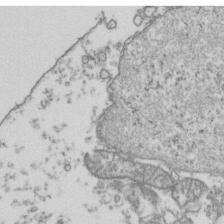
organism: Human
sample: Activated Jurkat CD4+ T cells